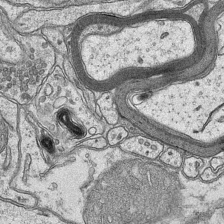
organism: Mouse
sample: CA1 Hippocampus